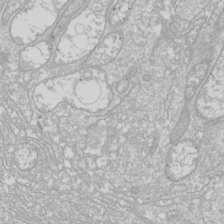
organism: Drosophila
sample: Cell division; meiosis; drosophila spermatocytes